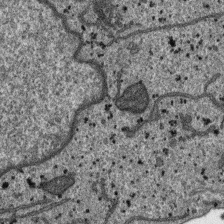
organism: Human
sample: Lung epithelial cells infected with SARS-CoV-2